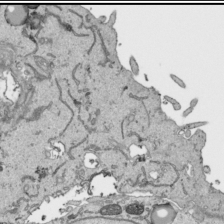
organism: Human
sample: Mitochondria in HCT116 cells